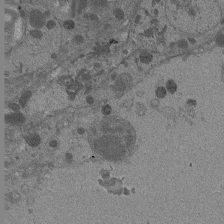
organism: Drosophila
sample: Antenna